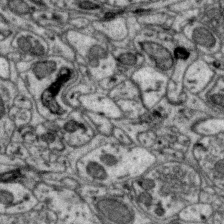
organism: Zebra finch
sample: Brain